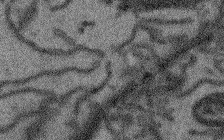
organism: Arabidopsis thaliana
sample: Root tip